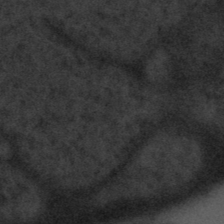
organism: Tuwongella immobilis